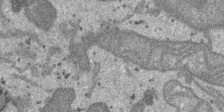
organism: Human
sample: Lung epithelial cells infected with SARS-CoV-2